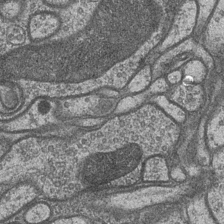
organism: Drosophila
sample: Optic medulla